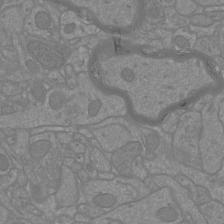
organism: Mouse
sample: Cortical neurons